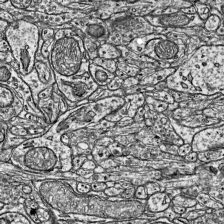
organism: Mouse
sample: Visual Cortex